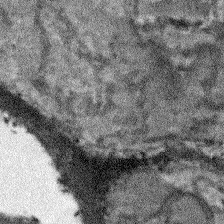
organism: Arabidopsis thaliana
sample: Root tip